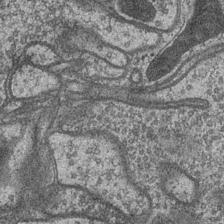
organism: Drosophila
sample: Optic medulla